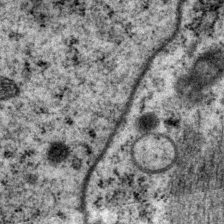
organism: P. pacificus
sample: Pharynx